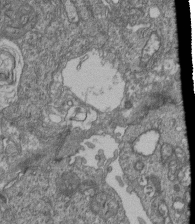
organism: Human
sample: Retinal organoid Rod and Cone cells